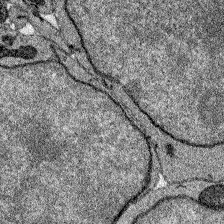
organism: Zebrafish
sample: Larval olfactory bulb